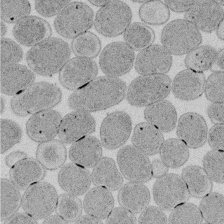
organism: E. coli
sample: Bacterial nucleoid